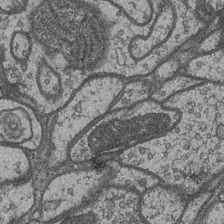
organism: Drosophila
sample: Optic medulla